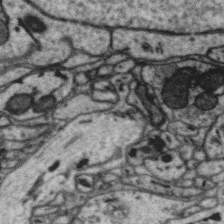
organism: Zebra finch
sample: Brain